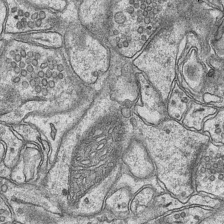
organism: Mouse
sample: CA1 Hippocampus